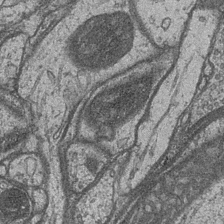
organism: Drosophila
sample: Optic medulla